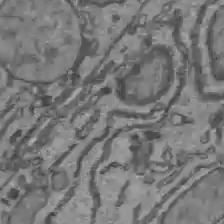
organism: C57BL Mouse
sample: Liver